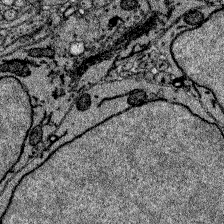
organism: Zebrafish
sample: Larval olfactory bulb